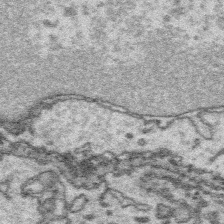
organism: Platynereis dumerilii